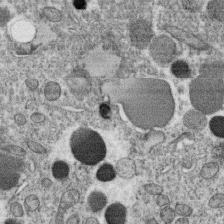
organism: C. elegans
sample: C. elegans oocyte; sperm cells